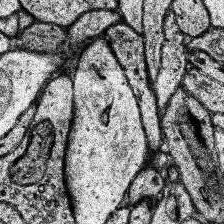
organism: Human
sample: Temporal Lobe